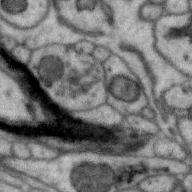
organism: Zebra finch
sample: Brain